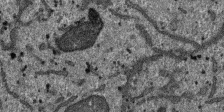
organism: Human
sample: Lung epithelial cells infected with SARS-CoV-2